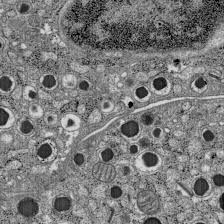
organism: C57BL Mouse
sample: Pancreatic islet